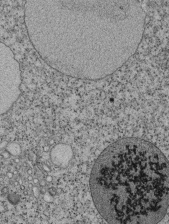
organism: Tetrahymena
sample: Cilia in tetrahymena